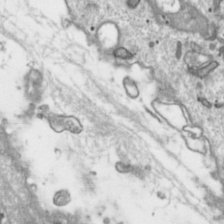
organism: Toxoplasma gondii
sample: Parasites in a vacuole inside a host cell